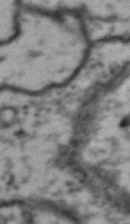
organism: Drosophila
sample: Brain